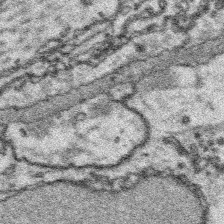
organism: Platynereis dumerilii